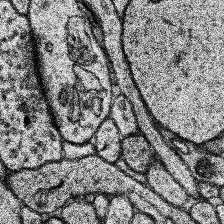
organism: Human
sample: Temporal Lobe